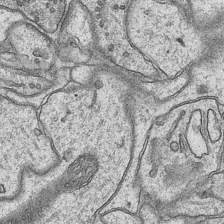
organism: Mouse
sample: CA1 Hippocampus